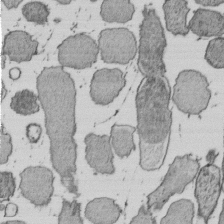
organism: E. coli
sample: Bacterial nucleoid